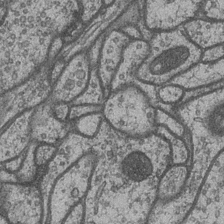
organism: Drosophila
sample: Optic medulla